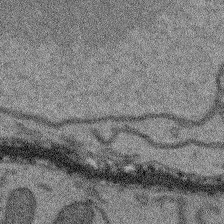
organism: Arabidopsis thaliana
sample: Root tip